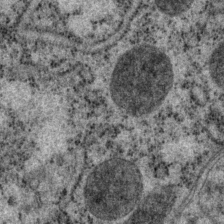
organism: P. pacificus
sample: Pharynx